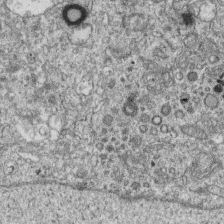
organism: Human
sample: HeLa cell HIV synapse